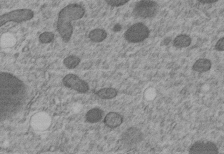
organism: C. elegans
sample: C. elegans embryo early stage